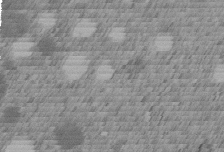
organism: C. elegans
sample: C. elegans embryo early stage